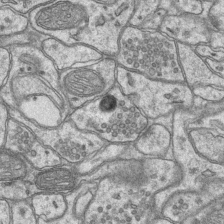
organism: Mouse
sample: CA1 Hippocampus